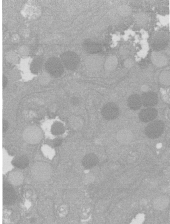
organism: C. elegans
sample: C. elegans oocyte; sperm cells